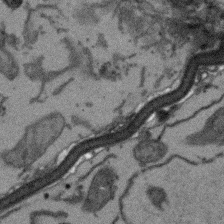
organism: Arabidopsis thaliana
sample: Root tip